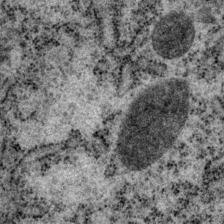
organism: P. pacificus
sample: Pharynx